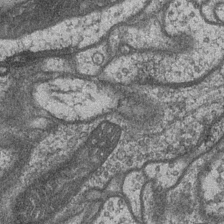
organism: Drosophila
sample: Optic medulla